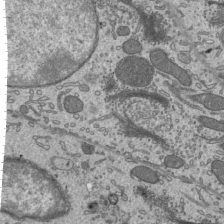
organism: Mouse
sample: Mouse epididymis efferent ductule cilia